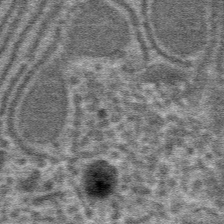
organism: Mouse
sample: Mouse hepatocytes